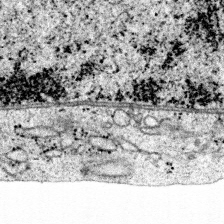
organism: Human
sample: HeLa cells